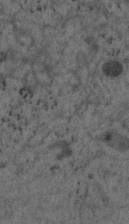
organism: Human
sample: HeLa cells